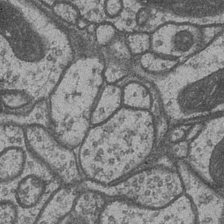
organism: Drosophila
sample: Optic medulla